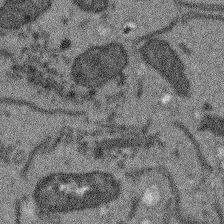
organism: Arabidopsis thaliana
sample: Root tip